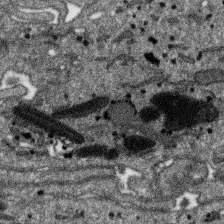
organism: Human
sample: Lung epithelial cells infected with SARS-CoV-2